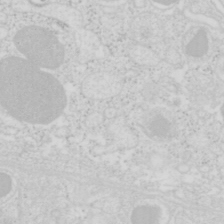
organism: Mouse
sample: Pancreas